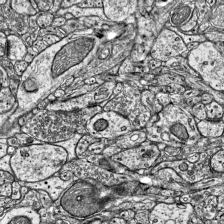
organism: Mouse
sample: Visual Cortex